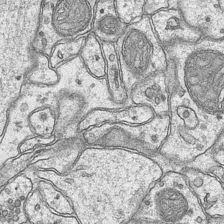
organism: Mouse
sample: CA1 Hippocampus